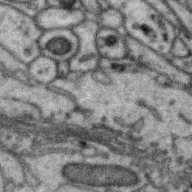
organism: Zebra finch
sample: Brain